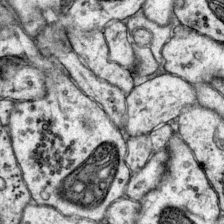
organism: Mouse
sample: Primary visual cortex